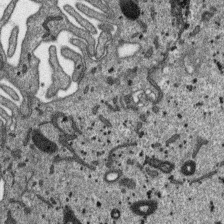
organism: Human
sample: Lung epithelial cells infected with SARS-CoV-2